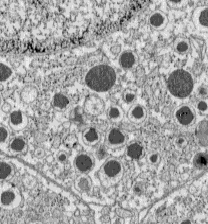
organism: C57BL Mouse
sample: Pancreatic islet